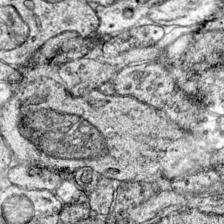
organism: Mouse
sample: Primary visual cortex